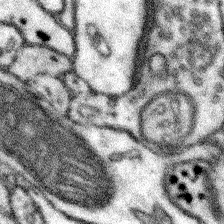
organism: Mouse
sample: Somatosensory cortex neuropil